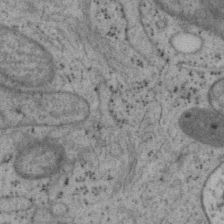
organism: Human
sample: HeLa cells